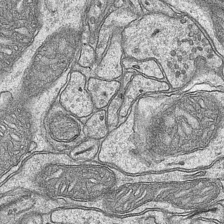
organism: Mouse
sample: CA1 Hippocampus